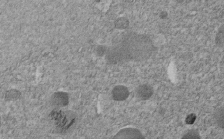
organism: C. elegans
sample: C. elegans embryo early stage